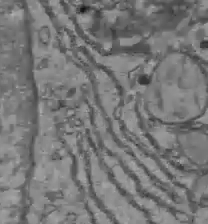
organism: C57BL Mouse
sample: Liver